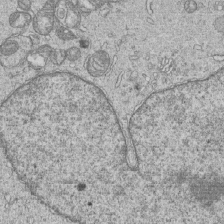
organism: Human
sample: MDA-MB-231 cells